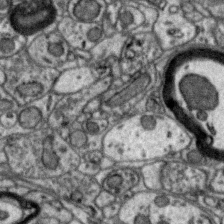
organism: Zebra finch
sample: Brain